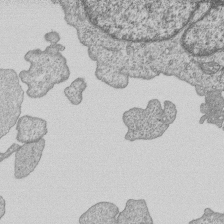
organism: Human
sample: MDA-MB-231 cells